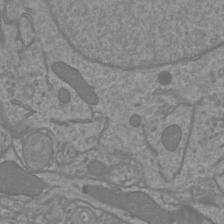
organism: Mouse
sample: Cortical neurons